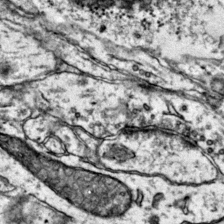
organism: Mouse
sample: Primary visual cortex